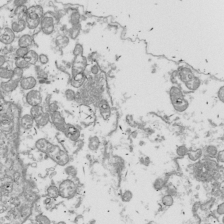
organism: Drosophila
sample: Cell division; meiosis; drosophila spermatocytes